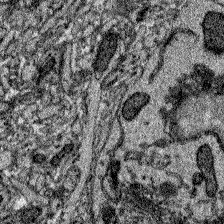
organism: Zebrafish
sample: Larval olfactory bulb